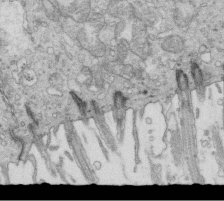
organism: Mouse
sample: Multiciliated cells